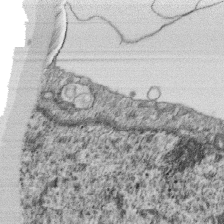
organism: African green monkey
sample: Vero E6 cells infected with SARS-CoV-2